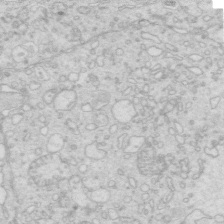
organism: Mouse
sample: Multiciliated cells